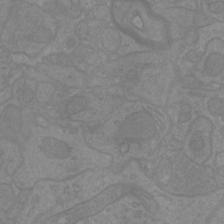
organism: Mouse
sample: Cortical neurons